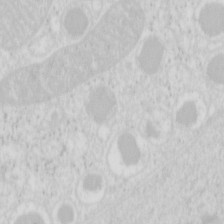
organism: Mouse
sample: Pancreas